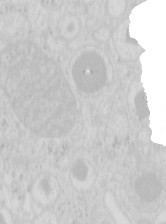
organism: Mouse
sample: Pancreas